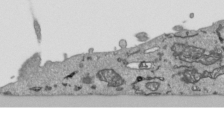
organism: Human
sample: Mitochondria in HCT116 cells